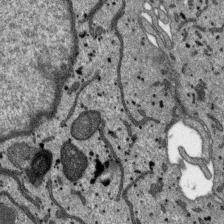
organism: Human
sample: Lung epithelial cells, uninfected (mock) control